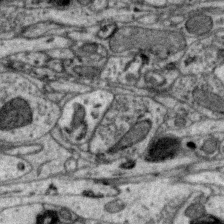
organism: Zebra finch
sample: Brain